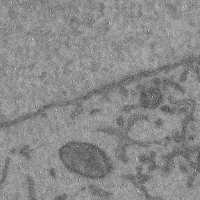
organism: Mouse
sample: Cerebral cortex